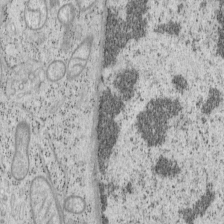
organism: Mouse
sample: OT-I killer T cells with ID8 ovarian cancer cells